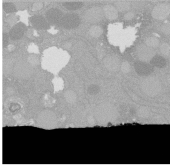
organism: C. elegans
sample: C. elegans oocyte; sperm cells